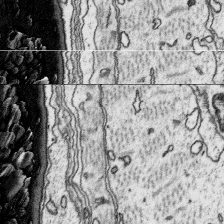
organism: Platynereis dumerilii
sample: Parapodia